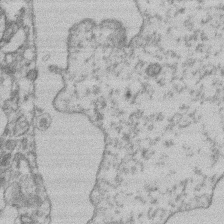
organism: Mouse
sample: T cell stromal cell synapse